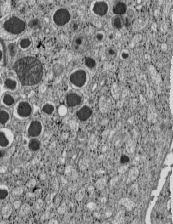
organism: C57BL Mouse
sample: Pancreatic islet